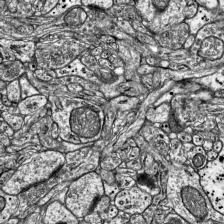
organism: Mouse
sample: Visual Cortex